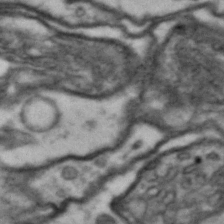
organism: Drosophila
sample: Brain